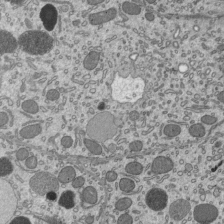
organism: Mouse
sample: Mouse epididymis efferent ductule cilia